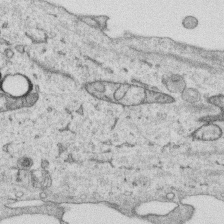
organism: Human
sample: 1205lu cells